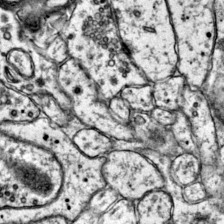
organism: Mouse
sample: Primary visual cortex